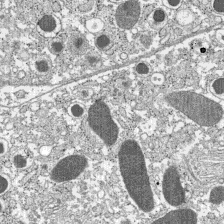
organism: C57BL Mouse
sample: Pancreatic islet